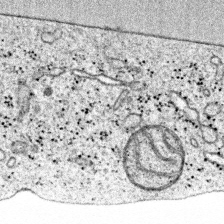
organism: Human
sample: HeLa cells